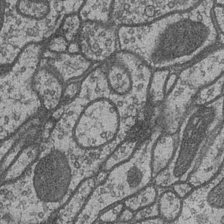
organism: Drosophila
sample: Optic medulla